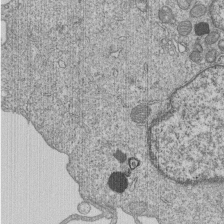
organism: Human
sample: MDA-MB-231 cells